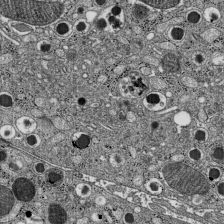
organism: C57BL Mouse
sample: Pancreatic islet